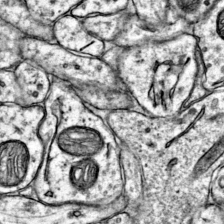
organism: Mouse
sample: Primary visual cortex